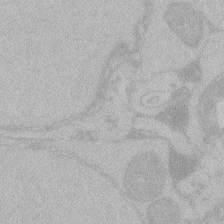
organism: Zebrafish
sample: Macrophage infected with Toxoplasma gondii